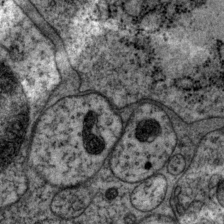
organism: P. pacificus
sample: Pharynx